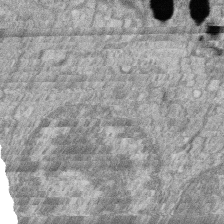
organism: Zebrafish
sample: Cilia; retinal pigment epithelium